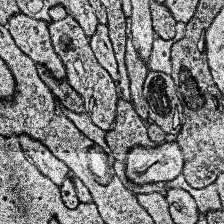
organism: Human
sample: Temporal Lobe